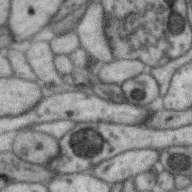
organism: Zebra finch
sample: Brain